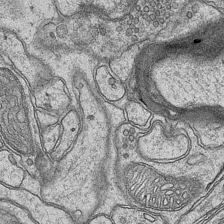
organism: Mouse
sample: CA1 Hippocampus